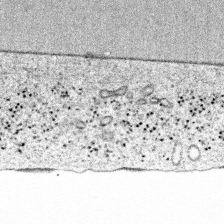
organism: Human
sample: HeLa cells